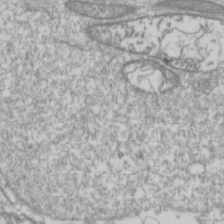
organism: Drosophila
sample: Cell division; meiosis; drosophila spermatocytes